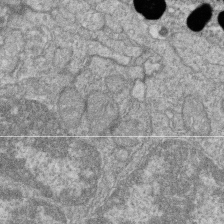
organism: Zebrafish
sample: Cilia; retinal pigment epithelium